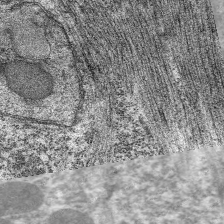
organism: C. elegans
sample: Pharynx